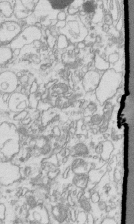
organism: Mouse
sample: Macrophages